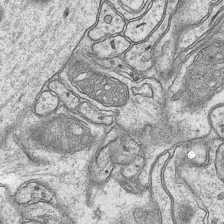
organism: Mouse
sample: CA1 Hippocampus